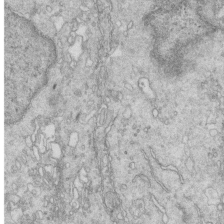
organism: Mouse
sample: Multiciliated cells